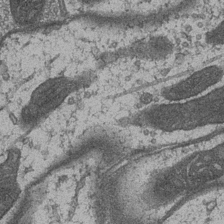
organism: Drosophila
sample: Optic medulla